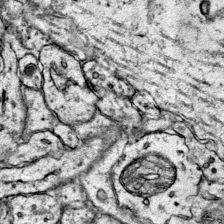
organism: Mouse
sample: Primary visual cortex